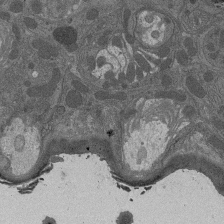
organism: Drosophila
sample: Antenna